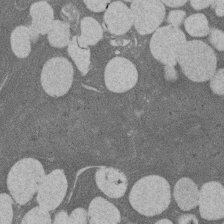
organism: Rat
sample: Salivary granule